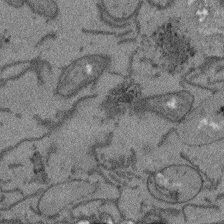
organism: Arabidopsis thaliana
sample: Root tip